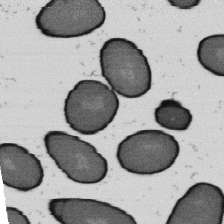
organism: B. subtilis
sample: Bacterial spore